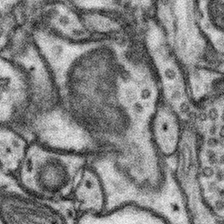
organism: Mouse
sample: Somatosensory cortex neuropil